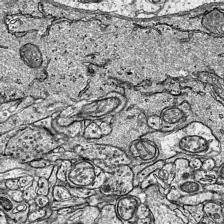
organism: Mouse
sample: Visual Cortex